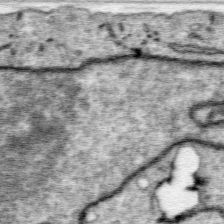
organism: Human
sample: HeLa cells